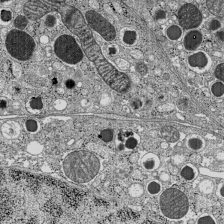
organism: C57BL Mouse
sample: Pancreatic islet